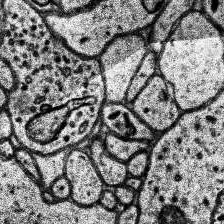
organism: Human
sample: Temporal Lobe